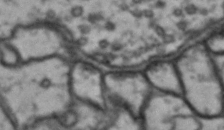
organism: Drosophila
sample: Brain